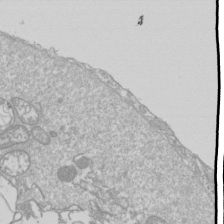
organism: Drosophila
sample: Cell division; meiosis; drosophila spermatocytes